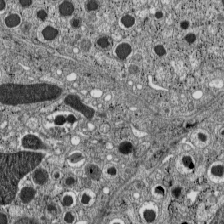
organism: C57BL Mouse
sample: Pancreatic islet